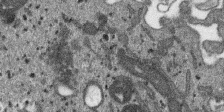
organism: Human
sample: Lung epithelial cells infected with SARS-CoV-2